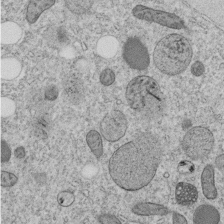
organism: C. elegans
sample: C. elegans embryo early stage